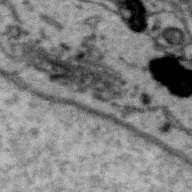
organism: Zebra finch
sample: Brain